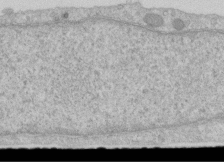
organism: Human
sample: Centriole in RPE cells